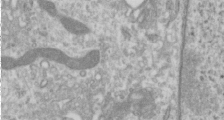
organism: Human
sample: Cilia; basal body in RPE cells